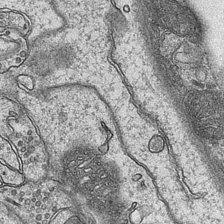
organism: Mouse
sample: CA1 Hippocampus